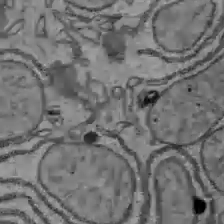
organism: C57BL Mouse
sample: Liver